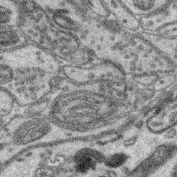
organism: Mouse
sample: Retina